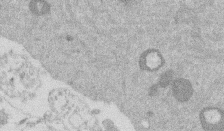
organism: Mouse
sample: Dividing mouse embryo 1 cell stage